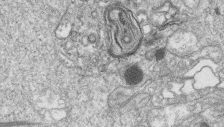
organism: Human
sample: HeLa cell HIV synapse